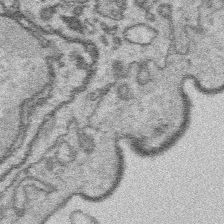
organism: Platynereis dumerilii